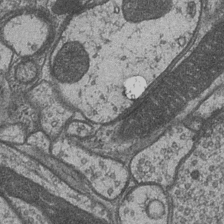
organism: Drosophila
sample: Optic medulla